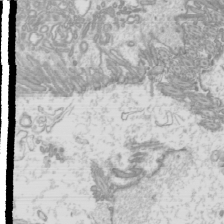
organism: Mouse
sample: Cilia; mouse epididymis